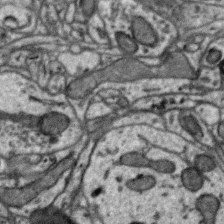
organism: Zebra finch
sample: Brain